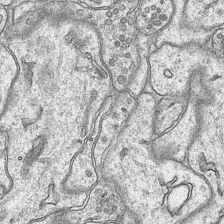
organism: Mouse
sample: CA1 Hippocampus